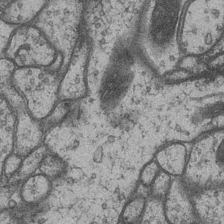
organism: Drosophila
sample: Optic medulla